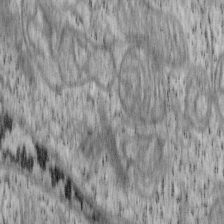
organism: Human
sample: HeLa cells